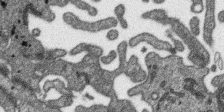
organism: Human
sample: Lung epithelial cells infected with SARS-CoV-2